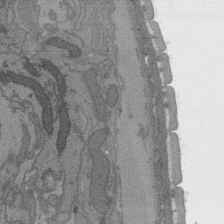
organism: C. elegans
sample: AFD neurons C. elegans